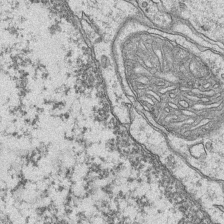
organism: Mouse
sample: CA1 Hippocampus